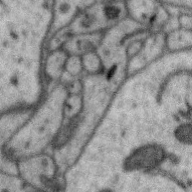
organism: Zebra finch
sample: Brain